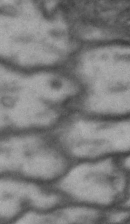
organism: Drosophila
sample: Brain